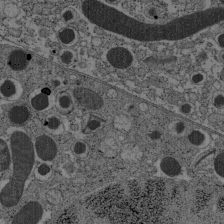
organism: C57BL Mouse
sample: Pancreatic islet